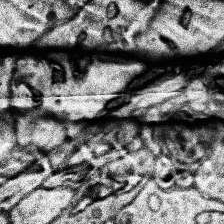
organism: Human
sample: Temporal Lobe